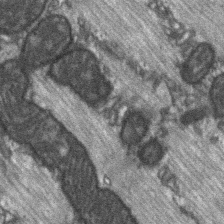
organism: C57BL Mouse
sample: Soleus